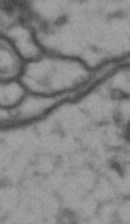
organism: Drosophila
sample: Brain